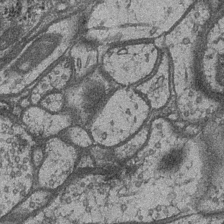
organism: Drosophila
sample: Optic medulla